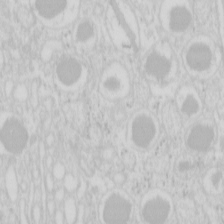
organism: Mouse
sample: Pancreas